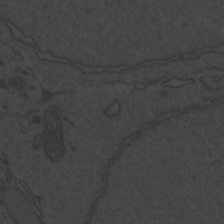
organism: Zebrafish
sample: Macrophage infected with Toxoplasma gondii